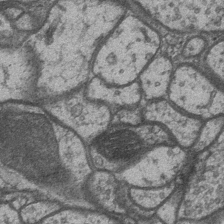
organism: Drosophila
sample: Optic medulla